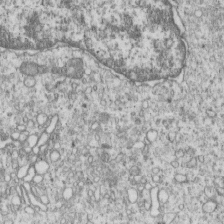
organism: Human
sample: MDA-MB-231 cells